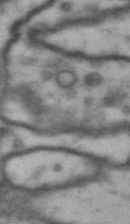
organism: Drosophila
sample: Brain